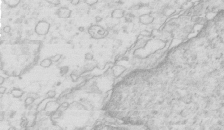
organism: Mouse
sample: Multiciliated cells